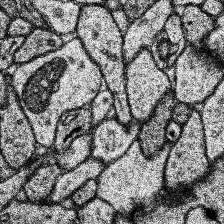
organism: Human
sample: Temporal Lobe